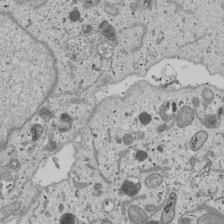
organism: Human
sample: Mitochondria in U2OS cells